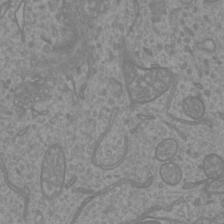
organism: Mouse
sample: Cortical neurons